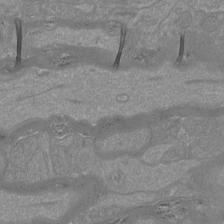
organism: Mouse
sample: Cortical neurons